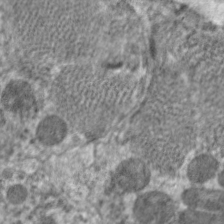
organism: C. elegans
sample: Pharynx